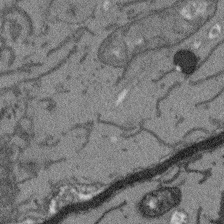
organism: Arabidopsis thaliana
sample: Root tip